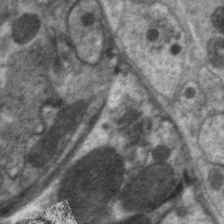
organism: C. elegans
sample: Pharynx